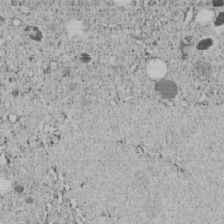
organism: C. elegans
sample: C. elegans embryo early stage